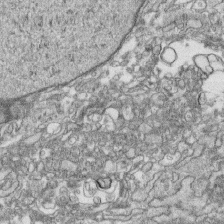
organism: Human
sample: CRL-1474